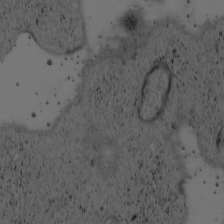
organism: African green monkey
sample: COS-7 cells